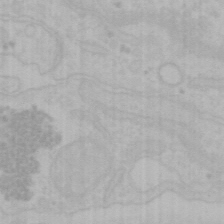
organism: Mouse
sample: Choroid plexus